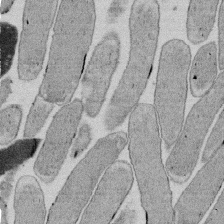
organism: E. coli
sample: Bacterial nucleoid